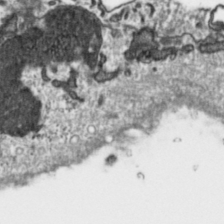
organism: Toxoplasma gondii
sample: Parasites in a vacuole inside a host cell